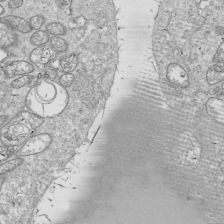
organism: Drosophila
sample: Cell division; meiosis; drosophila spermatocytes